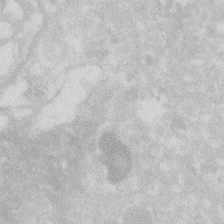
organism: Zebrafish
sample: Macrophage